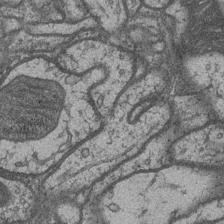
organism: Drosophila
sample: Optic medulla